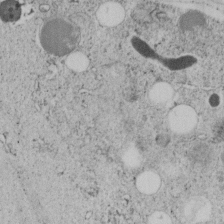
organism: C. elegans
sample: C. elegans embryo early stage